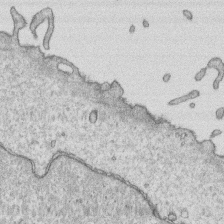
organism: Human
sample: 1205lu cells